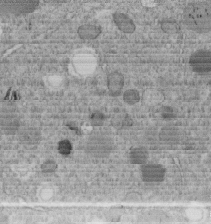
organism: C. elegans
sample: C. elegans embryo early stage